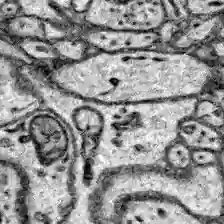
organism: Zebrafish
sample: Brain